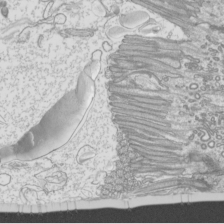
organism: Mouse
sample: Cilia; mouse epididymis